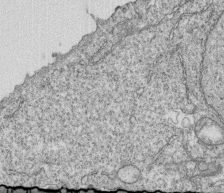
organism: Human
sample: HeLa cell HIV synapse